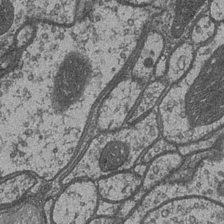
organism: Drosophila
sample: Optic medulla